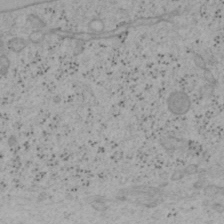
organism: Human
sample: HeLa cells